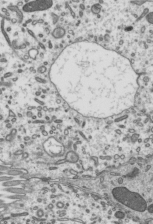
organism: Mouse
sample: Mouse epididymis efferent ductule cilia